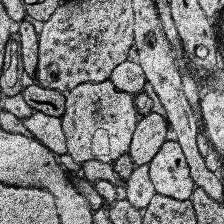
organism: Human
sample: Temporal Lobe